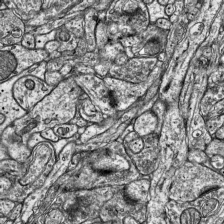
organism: Mouse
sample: Visual Cortex